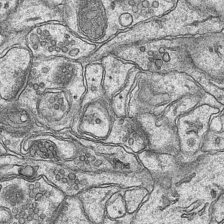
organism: Mouse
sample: CA1 Hippocampus